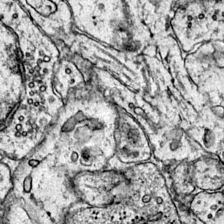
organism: Mouse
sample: Primary visual cortex